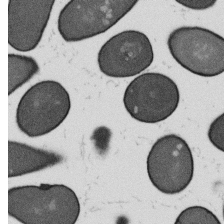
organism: B. subtilis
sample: Bacterial spore